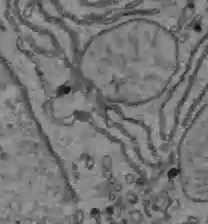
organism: C57BL Mouse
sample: Liver